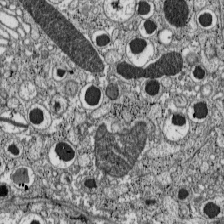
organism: C57BL Mouse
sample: Pancreatic islet